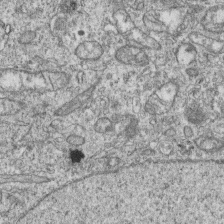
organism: Human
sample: HeLa cell HIV synapse